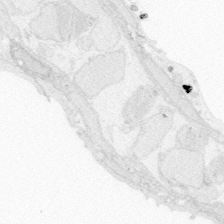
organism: Zebrafish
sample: Whole-Brain